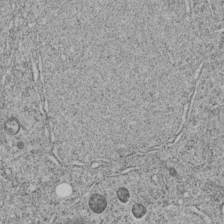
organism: C. elegans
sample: C. elegans embryo early stage